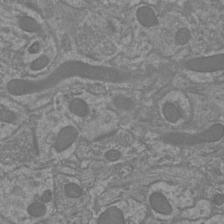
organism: Mouse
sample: Cortical neurons